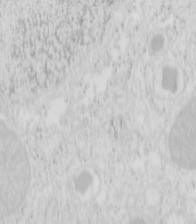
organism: Mouse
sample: Pancreas